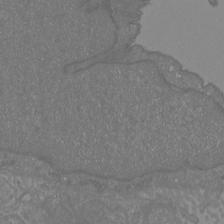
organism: Mouse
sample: Cortical neurons